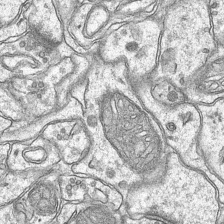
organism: Mouse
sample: CA1 Hippocampus